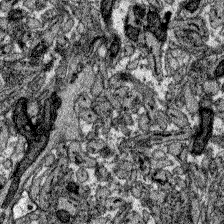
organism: Zebrafish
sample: Larval olfactory bulb